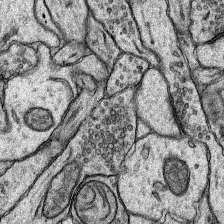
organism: Rat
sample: Hippocampus